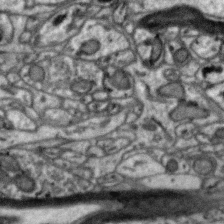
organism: Zebra finch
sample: Brain